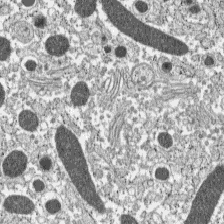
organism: C57BL Mouse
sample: Pancreatic islet